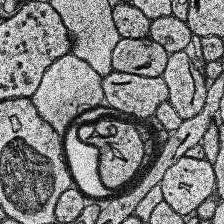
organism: Human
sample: Temporal Lobe